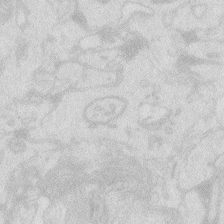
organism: Zebrafish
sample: Macrophage